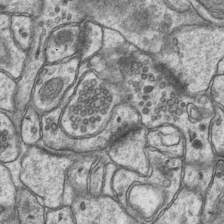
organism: Mouse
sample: CA1 Hippocampus